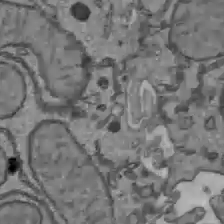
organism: C57BL Mouse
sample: Liver